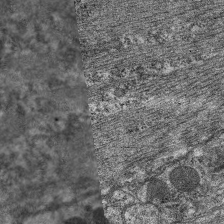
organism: C. elegans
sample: Pharynx